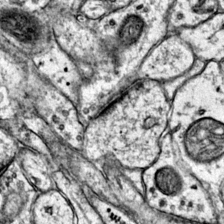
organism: Mouse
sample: Primary visual cortex